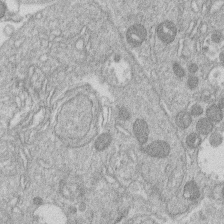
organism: Human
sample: Macrophage cells